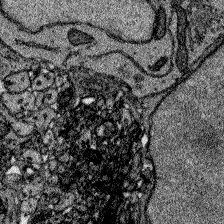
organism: Zebrafish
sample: Larval olfactory bulb